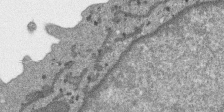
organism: Human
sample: Lung epithelial cells infected with SARS-CoV-2